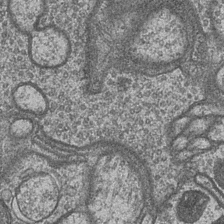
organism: Drosophila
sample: Optic medulla